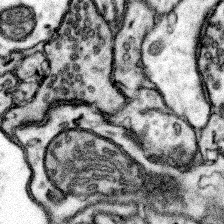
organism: Mouse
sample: Somatosensory cortex neuropil